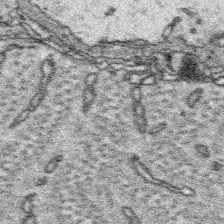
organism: Platynereis dumerilii